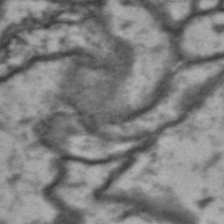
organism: Drosophila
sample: Brain